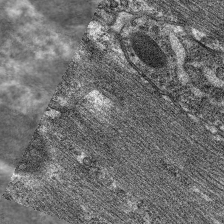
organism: C. elegans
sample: Pharynx